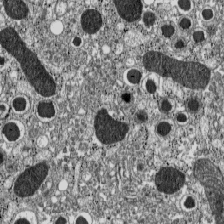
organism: C57BL Mouse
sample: Pancreatic islet